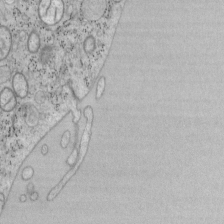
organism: Mouse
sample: OT-I killer T cells with ID8 ovarian cancer cells